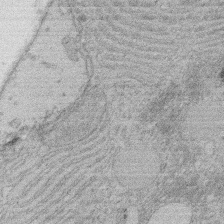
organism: Rat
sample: Salivary granule